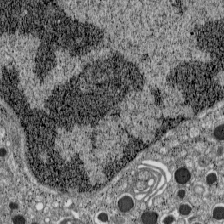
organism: C57BL Mouse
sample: Pancreatic islet